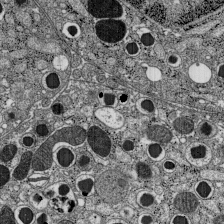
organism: C57BL Mouse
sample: Pancreatic islet